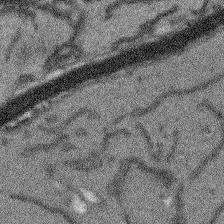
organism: Arabidopsis thaliana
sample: Root tip